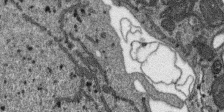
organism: Human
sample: Lung epithelial cells infected with SARS-CoV-2